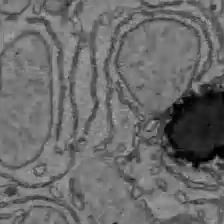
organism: C57BL Mouse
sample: Liver